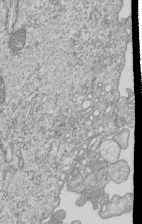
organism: Human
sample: MDA-MB-231 cells